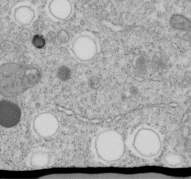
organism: C. elegans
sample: C. elegans embryo early stage